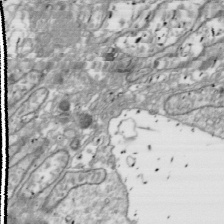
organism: Drosophila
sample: Cell division; meiosis; drosophila spermatocytes